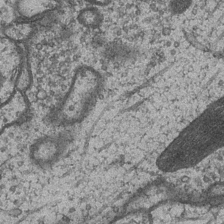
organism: Drosophila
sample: Optic medulla